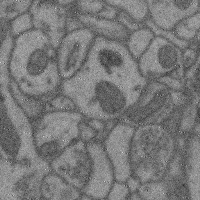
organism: Mouse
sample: Cerebral cortex